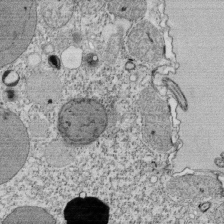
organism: Tetrahymena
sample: Cilia in tetrahymena